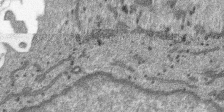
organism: Human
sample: Lung epithelial cells infected with SARS-CoV-2